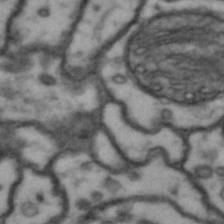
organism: Drosophila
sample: Brain